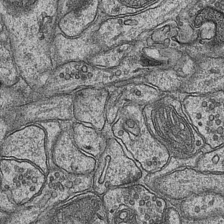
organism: Mouse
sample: CA1 Hippocampus